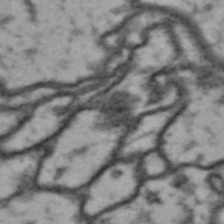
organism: Drosophila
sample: Brain